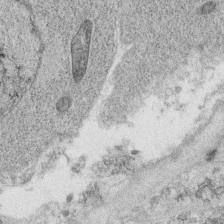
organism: C. elegans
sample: C. elegans oocyte; sperm cells